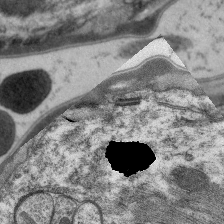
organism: C. elegans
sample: Pharynx